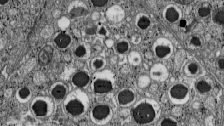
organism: C57BL Mouse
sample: Pancreatic islet